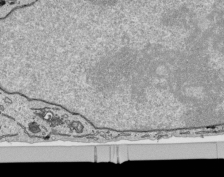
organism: Human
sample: Mitochondria in HCT116 cells